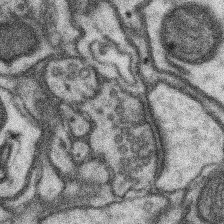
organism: Mouse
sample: Somatosensory cortex neuropil